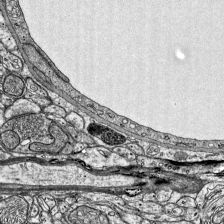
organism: Mouse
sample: Visual Cortex